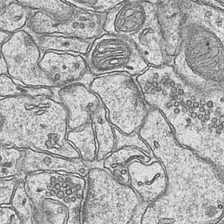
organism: Mouse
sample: CA1 Hippocampus